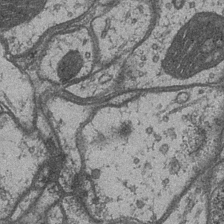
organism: Drosophila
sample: Optic medulla